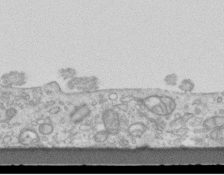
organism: Mouse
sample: Centriole in ependymal cells